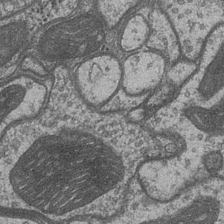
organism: Drosophila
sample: Optic medulla